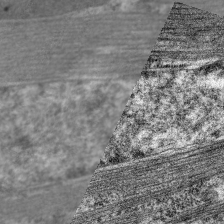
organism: C. elegans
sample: Pharynx